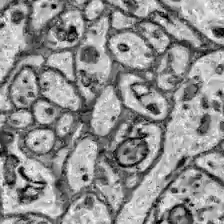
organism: Zebrafish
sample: Brain